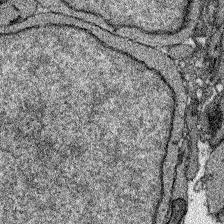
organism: Zebrafish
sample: Larval olfactory bulb